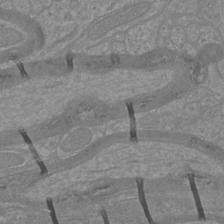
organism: Mouse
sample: Cortical neurons